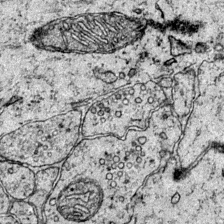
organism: Mouse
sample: Primary visual cortex